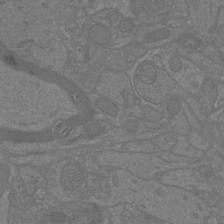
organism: Mouse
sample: Cortical neurons